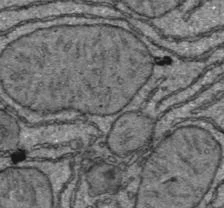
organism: C57BL Mouse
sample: Liver